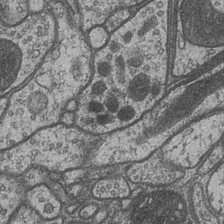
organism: Drosophila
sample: Optic medulla